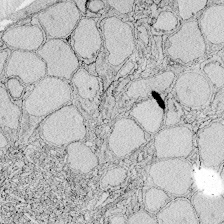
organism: Zebrafish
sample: Whole-Brain